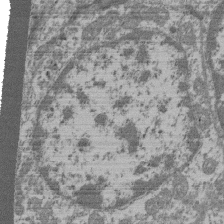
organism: Mouse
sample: Glomerulus